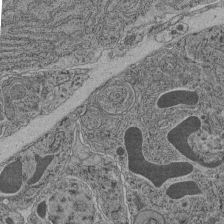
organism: C. elegans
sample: C. elegans pharynx